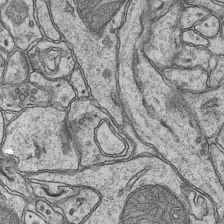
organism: Mouse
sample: CA1 Hippocampus